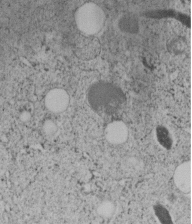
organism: C. elegans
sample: C. elegans embryo early stage